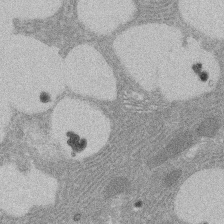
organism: Rat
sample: Salivary granule